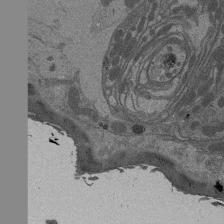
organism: Drosophila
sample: Antenna